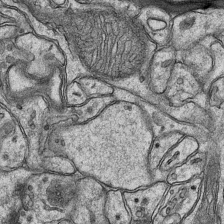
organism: Mouse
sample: CA1 Hippocampus